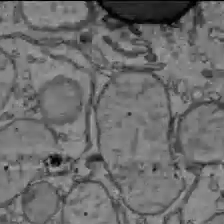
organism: C57BL Mouse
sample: Liver